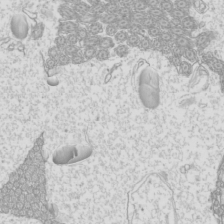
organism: Mouse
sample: Cilia; mouse epididymis